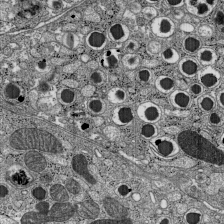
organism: C57BL Mouse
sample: Pancreatic islet